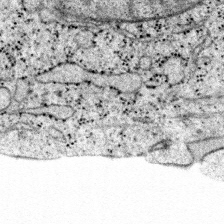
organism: Human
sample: HeLa cells